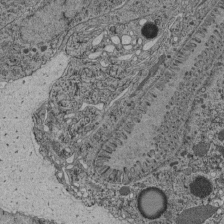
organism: C. elegans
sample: C. elegans pharynx